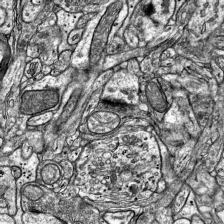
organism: Mouse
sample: Visual Cortex